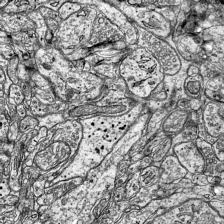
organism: Mouse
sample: Visual Cortex